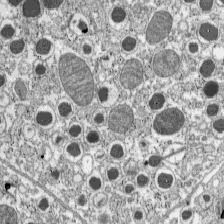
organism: C57BL Mouse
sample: Pancreatic islet